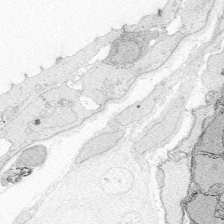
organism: Zebrafish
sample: Whole-Brain